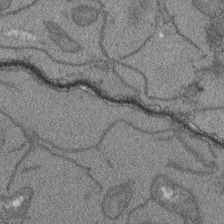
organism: Arabidopsis thaliana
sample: Root tip